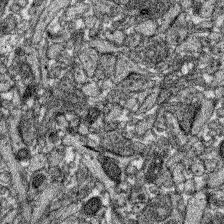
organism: Zebrafish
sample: Larval olfactory bulb